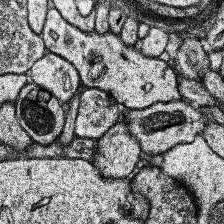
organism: Human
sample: Temporal Lobe